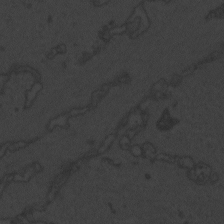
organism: Zebrafish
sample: Macrophage infected with Toxoplasma gondii